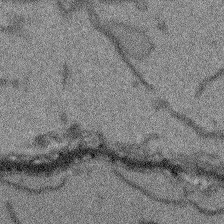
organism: Arabidopsis thaliana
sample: Root tip